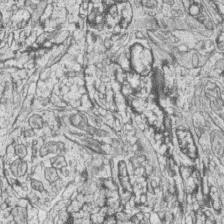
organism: Zebrafish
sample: synaptic ribbons in rod cells and cone cells